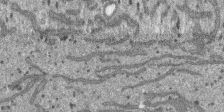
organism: Human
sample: Lung epithelial cells infected with SARS-CoV-2